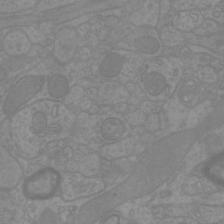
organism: Mouse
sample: Cortical neurons